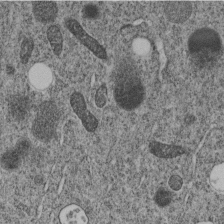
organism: C. elegans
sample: C. elegans embryo early stage